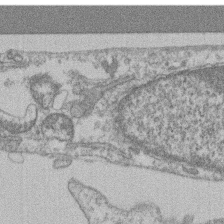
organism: Mouse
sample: T cell stromal cell synapse